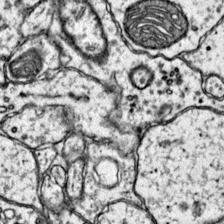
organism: Mouse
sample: Primary visual cortex